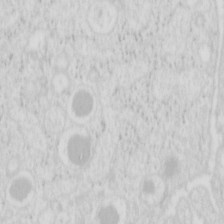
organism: Mouse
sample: Pancreas